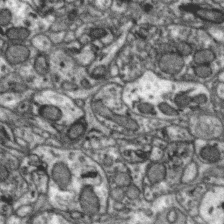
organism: Zebra finch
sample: Brain